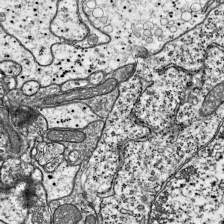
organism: Mouse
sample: Visual Cortex